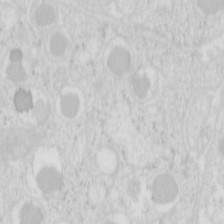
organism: Mouse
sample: Pancreas